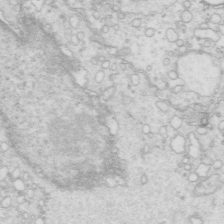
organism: Mouse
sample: Multiciliated cells